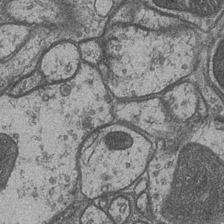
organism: Drosophila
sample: Optic medulla